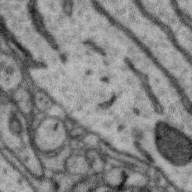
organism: Zebra finch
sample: Brain